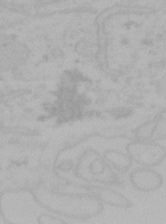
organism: Mouse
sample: Choroid plexus